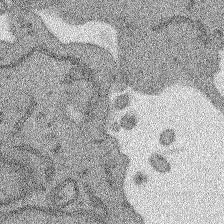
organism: Human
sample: HeLa cells